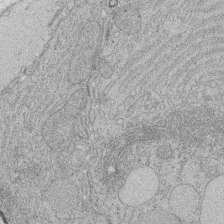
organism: Rat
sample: Salivary granule